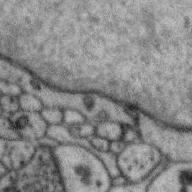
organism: Zebra finch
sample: Brain